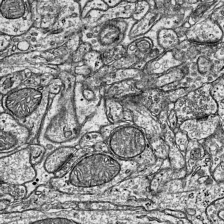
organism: Mouse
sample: Visual Cortex